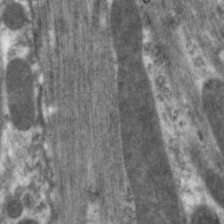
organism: C. elegans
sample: Pharynx